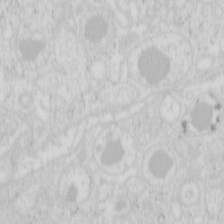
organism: Mouse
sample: Pancreas